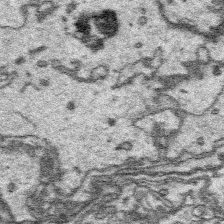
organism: Platynereis dumerilii